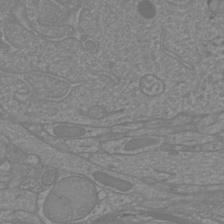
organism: Mouse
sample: Cortical neurons